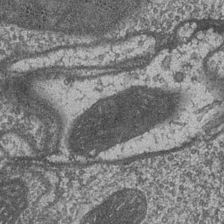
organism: Drosophila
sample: Optic medulla